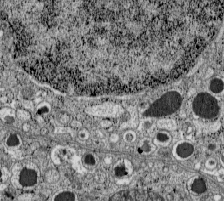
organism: C57BL Mouse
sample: Pancreatic islet